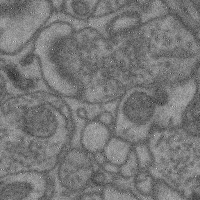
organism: Mouse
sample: Cerebral cortex